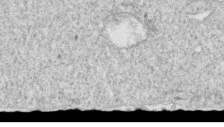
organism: Human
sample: HeLa cell HIV synapse